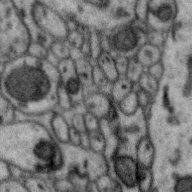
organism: Zebra finch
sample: Brain